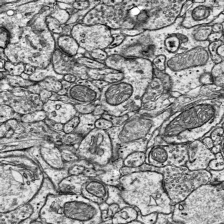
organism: Mouse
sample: Visual Cortex